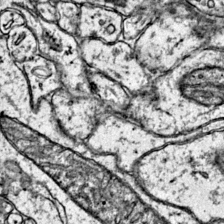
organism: Mouse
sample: Primary visual cortex